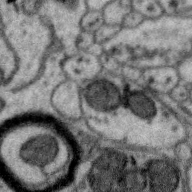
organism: Zebra finch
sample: Brain